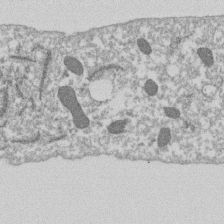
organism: Dictyostelium discoideum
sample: Dictyostelium multivesicular bodies